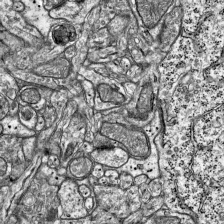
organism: Mouse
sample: Visual Cortex